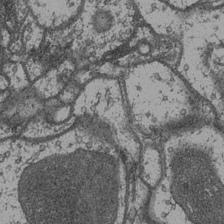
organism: Drosophila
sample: Optic medulla